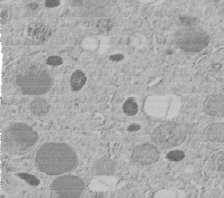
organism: C. elegans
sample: C. elegans embryo early stage